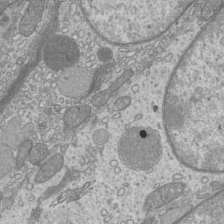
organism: Mouse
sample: Cilia; mouse epididymis